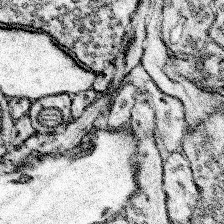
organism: Mouse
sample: Somatosensory cortex neuropil